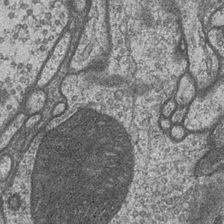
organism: Drosophila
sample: Optic medulla